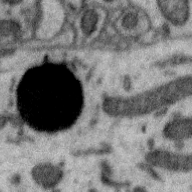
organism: Zebra finch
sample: Brain